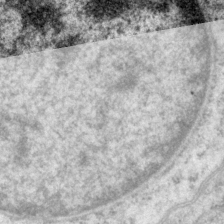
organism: P. pacificus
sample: Pharynx